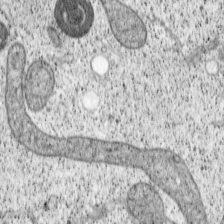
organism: African green monkey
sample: COS-7 cells